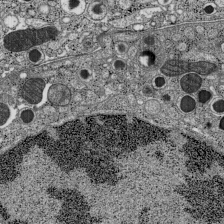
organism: C57BL Mouse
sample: Pancreatic islet